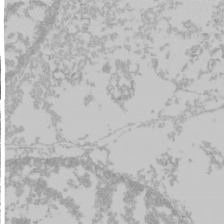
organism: Mouse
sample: Cancer cell death in ED-1 cells